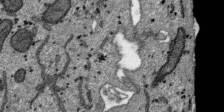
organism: Human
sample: Lung epithelial cells, uninfected (mock) control